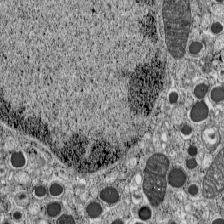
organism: C57BL Mouse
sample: Pancreatic islet